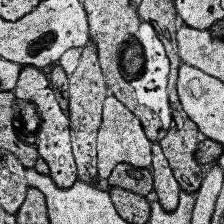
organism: Human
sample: Temporal Lobe